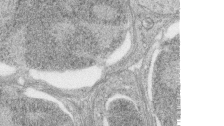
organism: Zebrafish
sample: synaptic ribbons in rod cells and cone cells